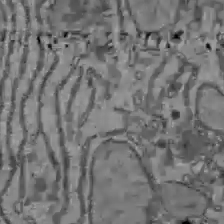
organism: C57BL Mouse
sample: Liver